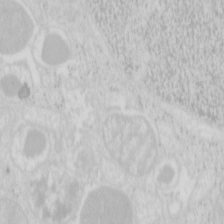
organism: Mouse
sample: Pancreas